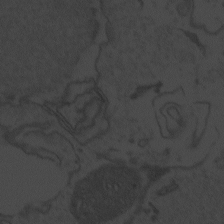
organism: Zebrafish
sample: Macrophage infected with Toxoplasma gondii